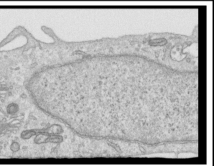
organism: Human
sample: Centriole in RPE cells